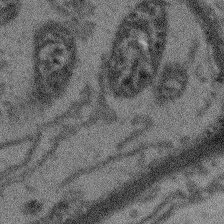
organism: Arabidopsis thaliana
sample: Root tip